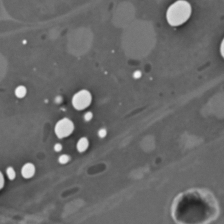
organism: C. elegans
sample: C. elegans embryo